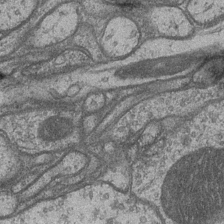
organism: Drosophila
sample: Optic medulla